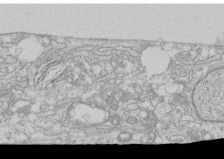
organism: Human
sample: CRL-1474